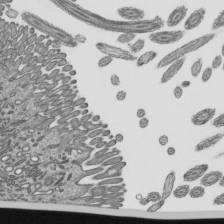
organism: Mouse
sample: Mouse epididymis efferent ductule cilia